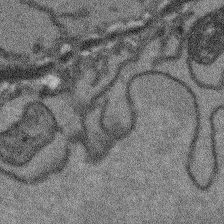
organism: Arabidopsis thaliana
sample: Root tip